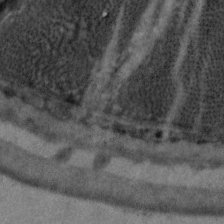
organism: C. elegans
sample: Pharynx